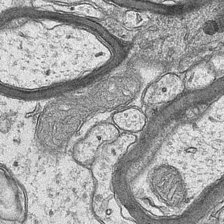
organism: Mouse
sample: CA1 Hippocampus